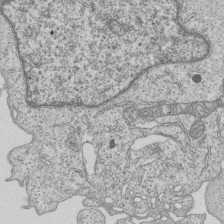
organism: Human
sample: MDA-MB-231 cells